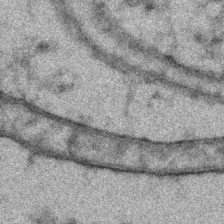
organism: Zebrafish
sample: Zebrafish embryo